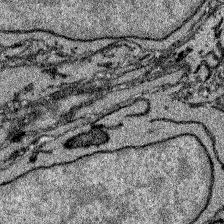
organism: Zebrafish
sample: Larval olfactory bulb